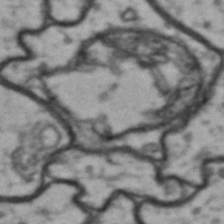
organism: Drosophila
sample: Brain